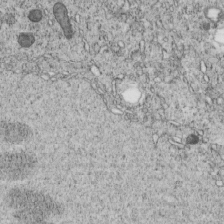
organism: C. elegans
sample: C. elegans embryo early stage